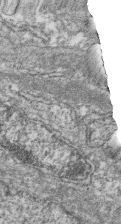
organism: Zebrafish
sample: Cilia; retinal pigment epithelium